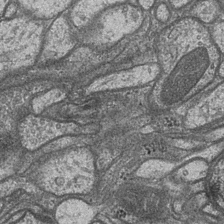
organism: Drosophila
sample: Optic medulla